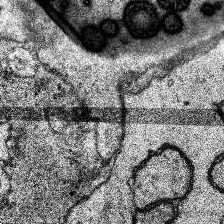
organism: Human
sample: Temporal Lobe